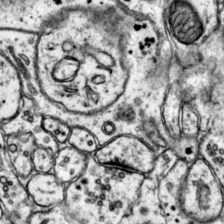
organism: Mouse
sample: Primary visual cortex